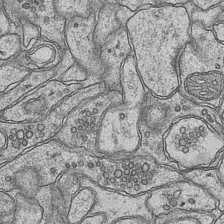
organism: Mouse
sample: CA1 Hippocampus